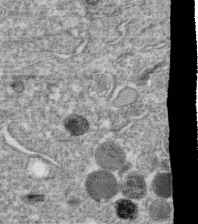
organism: C. elegans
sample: C. elegans oocyte; sperm cells